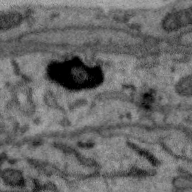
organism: Zebra finch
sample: Brain